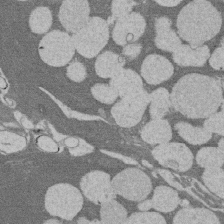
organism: Rat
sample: Salivary granule